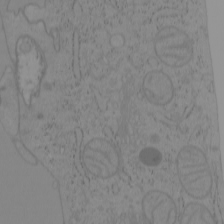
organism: Human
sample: HeLa cells